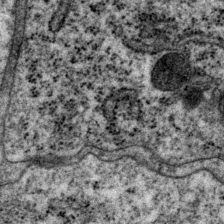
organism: P. pacificus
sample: Pharynx